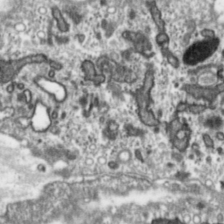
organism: Toxoplasma gondii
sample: Parasites in a vacuole inside a host cell